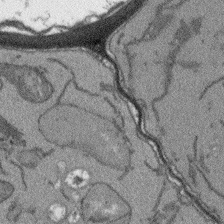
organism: Arabidopsis thaliana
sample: Root tip